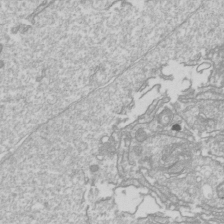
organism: Drosophila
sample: Cell division; meiosis; drosophila spermatocytes